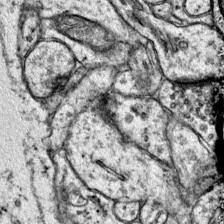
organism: Mouse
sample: Primary visual cortex